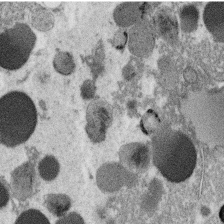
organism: C. elegans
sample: C. elegans oocyte; sperm cells